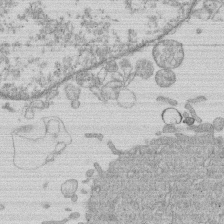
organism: Human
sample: Macrophage cells